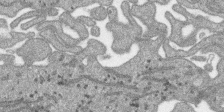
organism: Human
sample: Lung epithelial cells infected with SARS-CoV-2